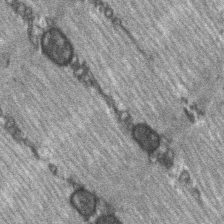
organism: C57BL Mouse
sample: Soleus